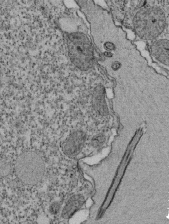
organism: Tetrahymena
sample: Cilia in tetrahymena